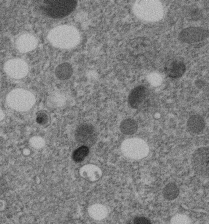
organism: C. elegans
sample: C. elegans embryo early stage